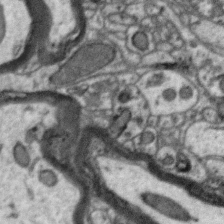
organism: Zebra finch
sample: Brain